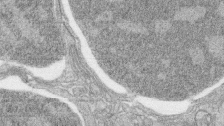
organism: Zebrafish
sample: synaptic ribbons in rod cells and cone cells